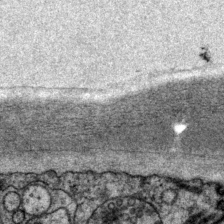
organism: P. pacificus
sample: Pharynx